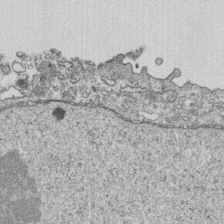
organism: Human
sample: HeLa cell HIV synapse